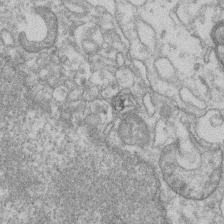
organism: Mouse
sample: T cell stromal cell synapse